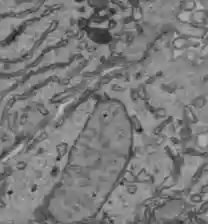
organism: C57BL Mouse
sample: Liver